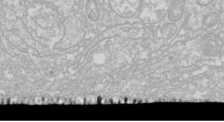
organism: Drosophila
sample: Cell division; meiosis; drosophila spermatocytes